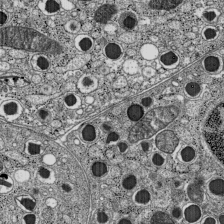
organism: C57BL Mouse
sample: Pancreatic islet